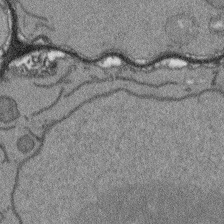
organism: Arabidopsis thaliana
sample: Root tip